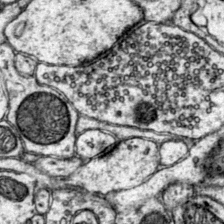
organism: Mouse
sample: Primary visual cortex